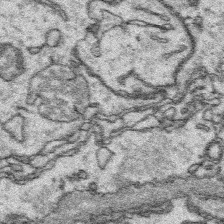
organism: Platynereis dumerilii